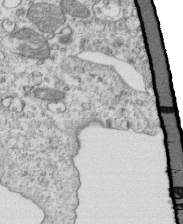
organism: Mouse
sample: Activated OT-1 CD8+ T cells